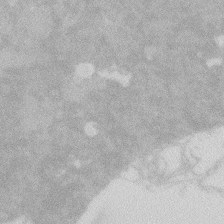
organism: Zebrafish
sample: Macrophage